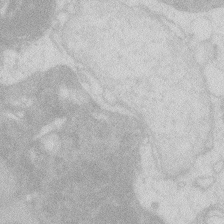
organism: Zebrafish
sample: Macrophage